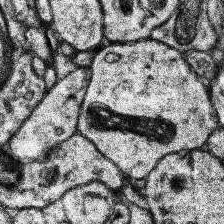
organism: Human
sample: Temporal Lobe